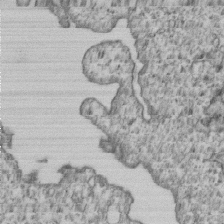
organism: Human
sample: MDA-MB-231 cells